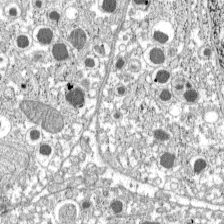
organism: C57BL Mouse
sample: Pancreatic islet